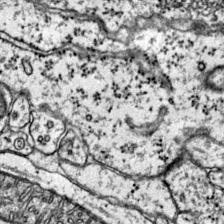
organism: Mouse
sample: Primary visual cortex